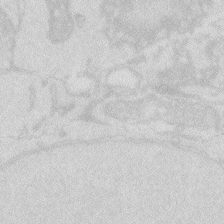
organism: Zebrafish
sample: Macrophage